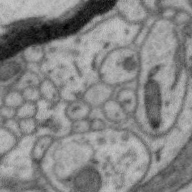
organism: Zebra finch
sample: Brain